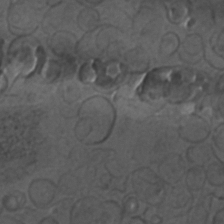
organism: C. elegans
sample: C. elegans embryo